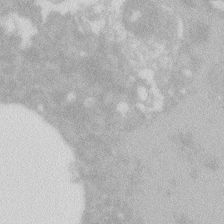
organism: Zebrafish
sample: Macrophage